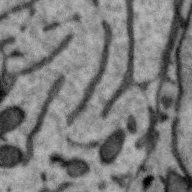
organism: Zebra finch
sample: Brain